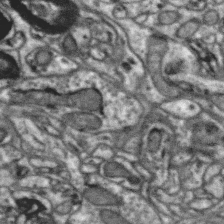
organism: Zebra finch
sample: Brain